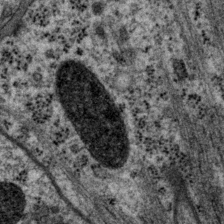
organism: P. pacificus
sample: Pharynx